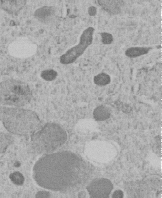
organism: C. elegans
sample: C. elegans embryo early stage